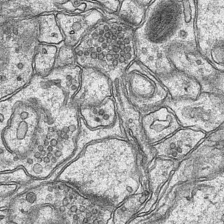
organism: Mouse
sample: CA1 Hippocampus